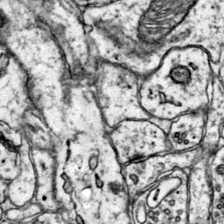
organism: Mouse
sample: Primary visual cortex